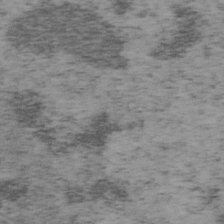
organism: Mouse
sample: OT-I killer T cells with ID8 ovarian cancer cells